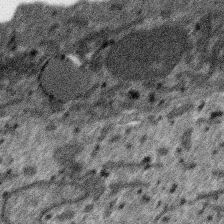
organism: Human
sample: Lung epithelial cells infected with SARS-CoV-2